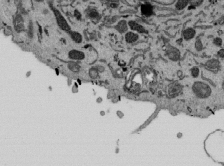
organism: Mouse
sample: ED-1 cell nuclei; centrioles